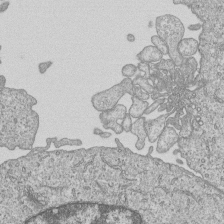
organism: Human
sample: MDA-MB-231 cells